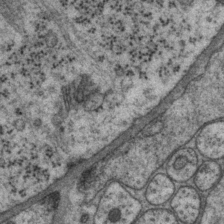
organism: P. pacificus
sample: Pharynx